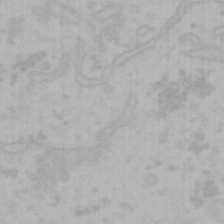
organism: Mouse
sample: Choroid plexus